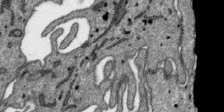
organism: Human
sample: Lung epithelial cells, uninfected (mock) control